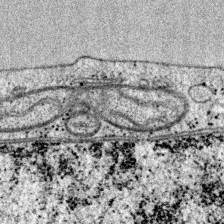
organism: Human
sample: HeLa cells